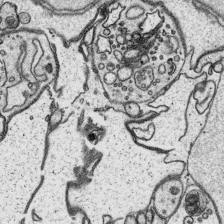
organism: Platynereis dumerilii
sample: Parapodia